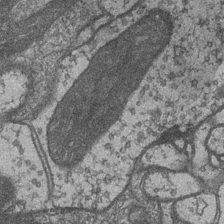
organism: Drosophila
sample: Optic medulla